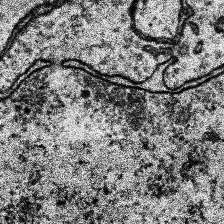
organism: Human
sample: Temporal Lobe